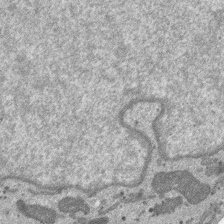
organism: Human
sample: Lung epithelial cells infected with SARS-CoV-2